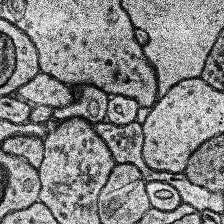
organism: Human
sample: Temporal Lobe